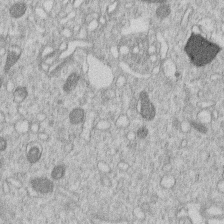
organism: Human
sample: Macrophage cells